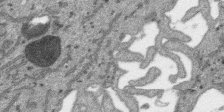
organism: Human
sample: Lung epithelial cells infected with SARS-CoV-2